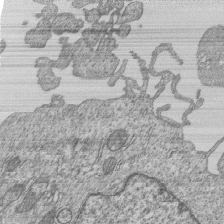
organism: Human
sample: MDA-MB-231 cells